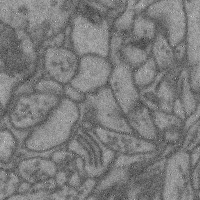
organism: Mouse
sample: Cerebral cortex